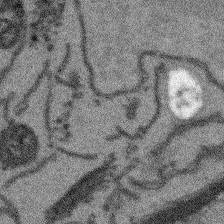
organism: Arabidopsis thaliana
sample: Root tip